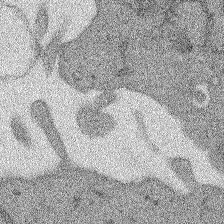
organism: Human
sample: HeLa cells